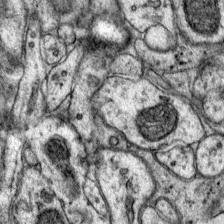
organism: Mouse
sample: Primary visual cortex